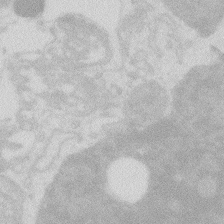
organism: Zebrafish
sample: Macrophage